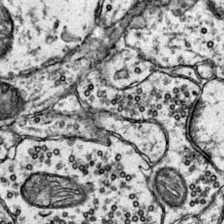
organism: Mouse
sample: Primary visual cortex